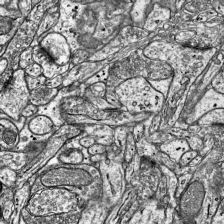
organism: Mouse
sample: Visual Cortex